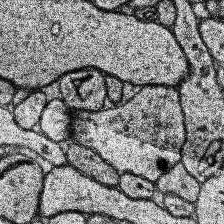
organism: Human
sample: Temporal Lobe